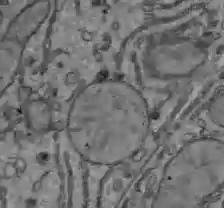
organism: C57BL Mouse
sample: Liver